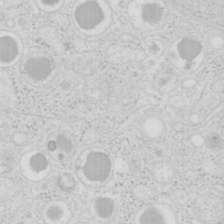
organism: Mouse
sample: Pancreas